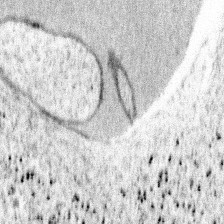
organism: Human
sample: HeLa cells